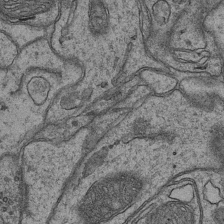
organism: Mouse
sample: CA1 Hippocampus